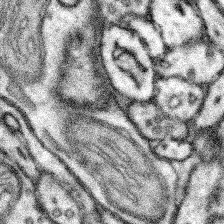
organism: Mouse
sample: Somatosensory cortex neuropil